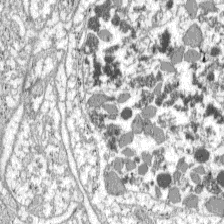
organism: C57BL Mouse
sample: Pancreatic islet